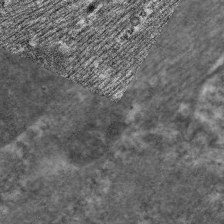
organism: C. elegans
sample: Pharynx